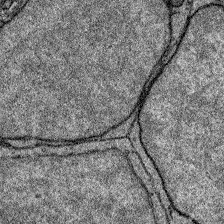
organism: Zebrafish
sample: Larval olfactory bulb